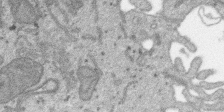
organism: Human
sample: Lung epithelial cells infected with SARS-CoV-2